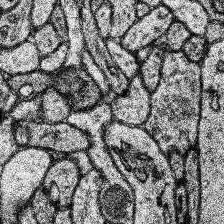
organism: Human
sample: Temporal Lobe